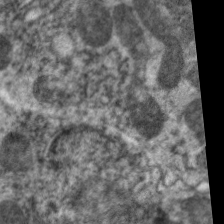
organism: C. elegans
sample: Pharynx